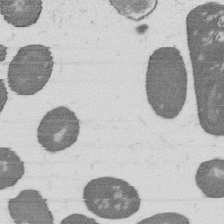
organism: B. subtilis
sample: Bacterial spore